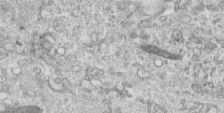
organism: Human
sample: Centriole in RPE cells